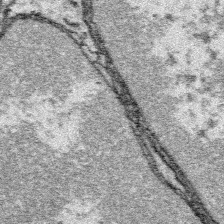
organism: Platynereis dumerilii